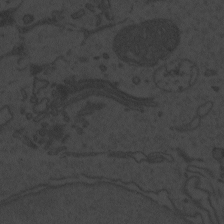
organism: Zebrafish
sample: Macrophage infected with Toxoplasma gondii